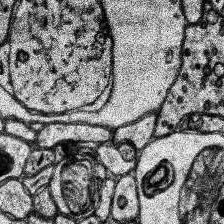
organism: Human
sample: Temporal Lobe